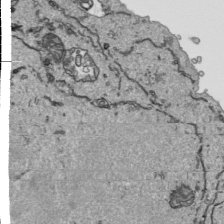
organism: Human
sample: Mitochondria in HCT116 cells